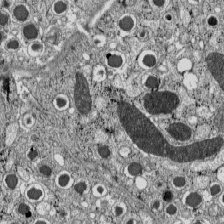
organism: C57BL Mouse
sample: Pancreatic islet